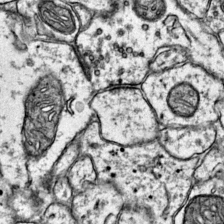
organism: Mouse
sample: Primary visual cortex